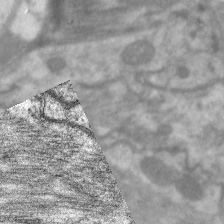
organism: C. elegans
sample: Pharynx